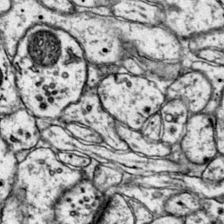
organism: Mouse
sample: Primary visual cortex